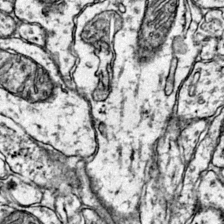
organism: Mouse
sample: Primary visual cortex